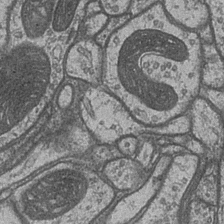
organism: Drosophila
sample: Optic medulla